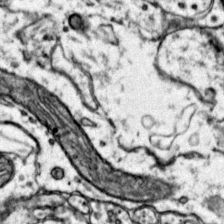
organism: Mouse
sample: Primary visual cortex